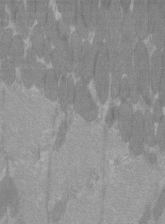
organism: C57BL Mouse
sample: Tibialis anterior muscle cell